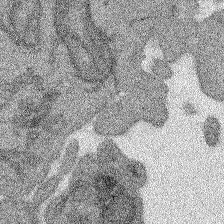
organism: Human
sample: HeLa cells